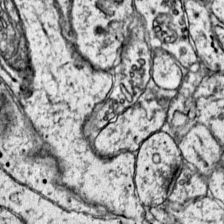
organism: Mouse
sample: Primary visual cortex